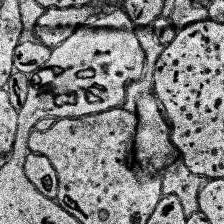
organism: Human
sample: Temporal Lobe